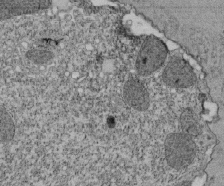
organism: Tetrahymena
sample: Cilia in tetrahymena